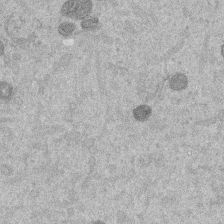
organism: Mouse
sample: Dividing mouse embryo 1 cell stage